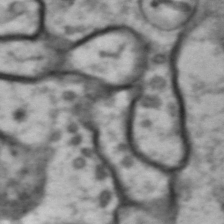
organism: Drosophila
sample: Brain